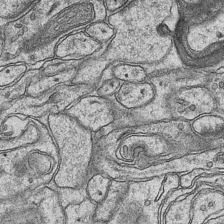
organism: Mouse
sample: CA1 Hippocampus